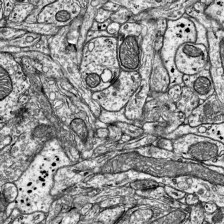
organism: Mouse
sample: Visual Cortex